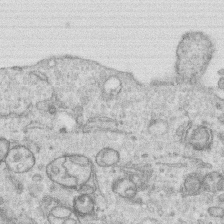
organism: Human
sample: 1205lu cells